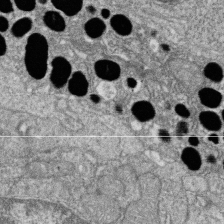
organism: Zebrafish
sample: Cilia; retinal pigment epithelium